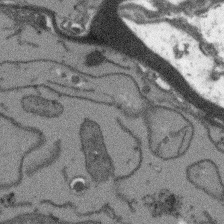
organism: Arabidopsis thaliana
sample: Root tip